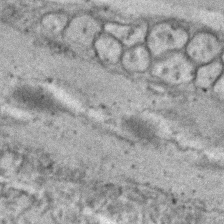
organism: C. elegans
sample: C. elegans embryo